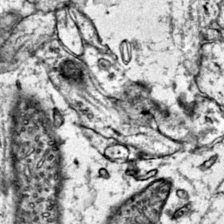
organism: Mouse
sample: Primary visual cortex